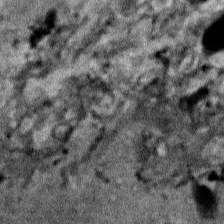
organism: Human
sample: Mitochondria in HCT116 cells